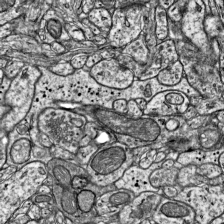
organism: Mouse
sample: Visual Cortex